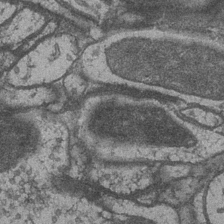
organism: Drosophila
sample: Optic medulla